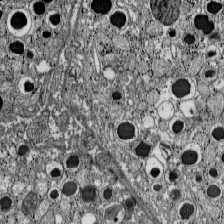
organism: C57BL Mouse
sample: Pancreatic islet